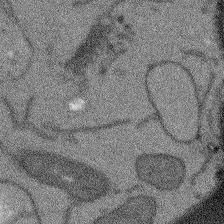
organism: Arabidopsis thaliana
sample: Root tip